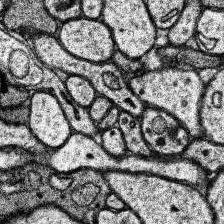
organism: Human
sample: Temporal Lobe